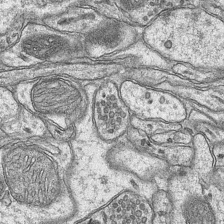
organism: Mouse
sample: CA1 Hippocampus